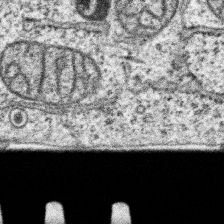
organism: Human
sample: HeLa cells